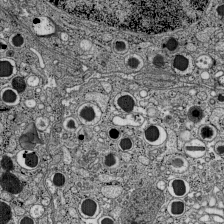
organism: C57BL Mouse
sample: Pancreatic islet